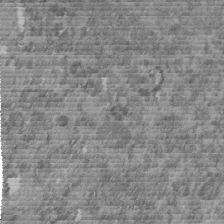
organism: C. elegans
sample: C. elegans embryo early stage